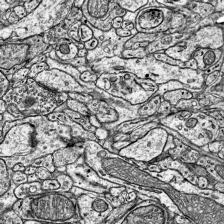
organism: Mouse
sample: Visual Cortex